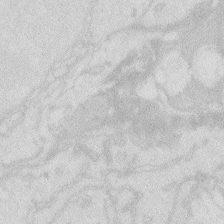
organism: Zebrafish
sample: Macrophage